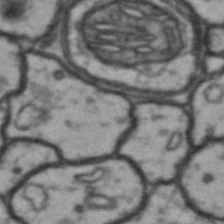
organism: Drosophila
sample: Brain